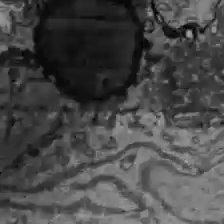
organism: C57BL Mouse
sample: Liver